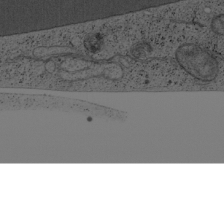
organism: African green monkey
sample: COS-7 cells